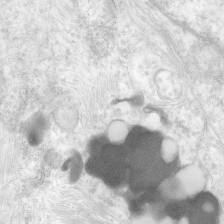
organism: Human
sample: Neocortex